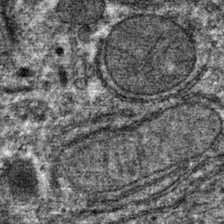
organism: Mouse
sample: Mouse hepatocytes